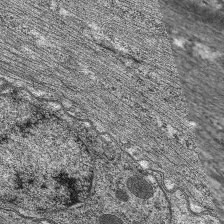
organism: C. elegans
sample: Pharynx